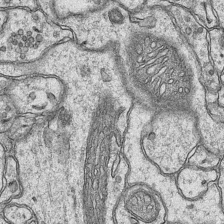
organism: Mouse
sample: CA1 Hippocampus